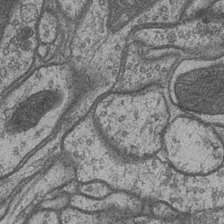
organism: Drosophila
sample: Optic medulla